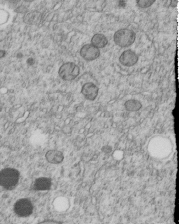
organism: C. elegans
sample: C. elegans embryo early stage